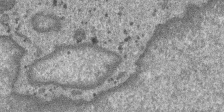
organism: Human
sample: Lung epithelial cells infected with SARS-CoV-2